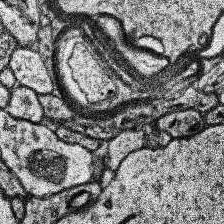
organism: Human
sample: Temporal Lobe